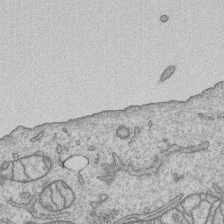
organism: Human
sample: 1205lu cells